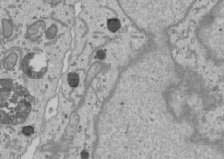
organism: Human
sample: Mitochondria in U2OS cells